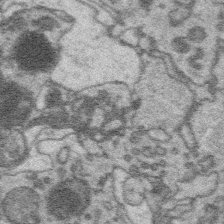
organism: Platynereis dumerilii